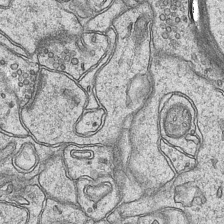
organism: Mouse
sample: CA1 Hippocampus